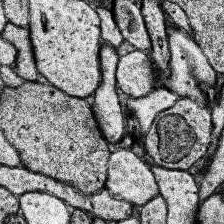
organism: Human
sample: Temporal Lobe